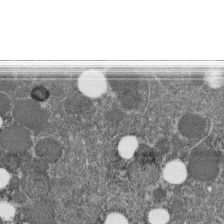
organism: C. elegans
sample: C. elegans embryo early stage